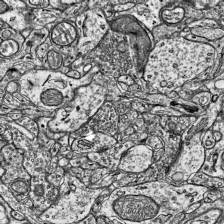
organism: Mouse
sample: Visual Cortex